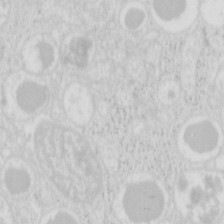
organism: Mouse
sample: Pancreas